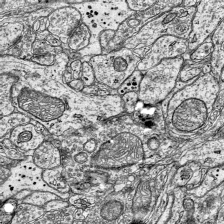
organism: Mouse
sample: Visual Cortex